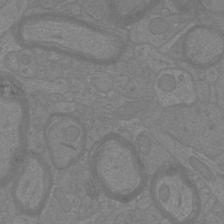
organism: Mouse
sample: Cortical neurons